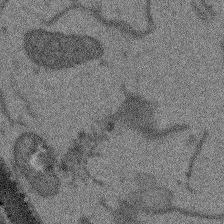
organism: Arabidopsis thaliana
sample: Root tip